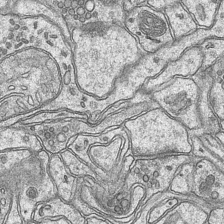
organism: Mouse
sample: CA1 Hippocampus